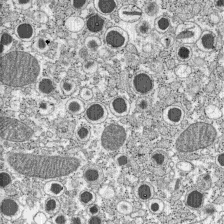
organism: C57BL Mouse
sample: Pancreatic islet